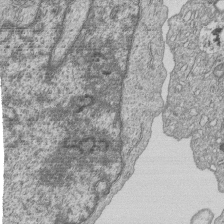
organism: Human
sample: MDA-MB-231 cells